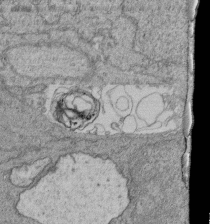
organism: Human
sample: Retinal organoid Rod and Cone cells